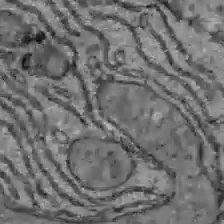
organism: C57BL Mouse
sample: Liver